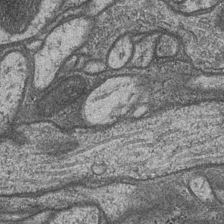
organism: Drosophila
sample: Optic medulla